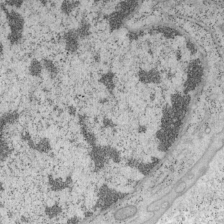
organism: Mouse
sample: OT-I killer T cells with ID8 ovarian cancer cells